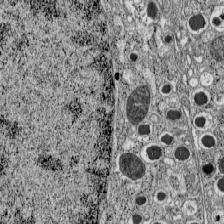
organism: C57BL Mouse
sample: Pancreatic islet